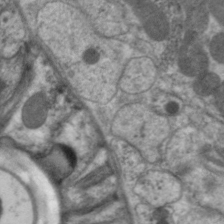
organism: C. elegans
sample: Pharynx